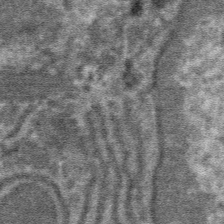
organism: Mouse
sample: Mouse hepatocytes